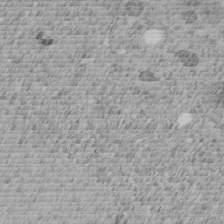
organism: C. elegans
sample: C. elegans embryo early stage